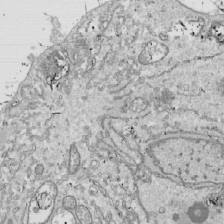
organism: Drosophila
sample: Cell division; meiosis; drosophila spermatocytes